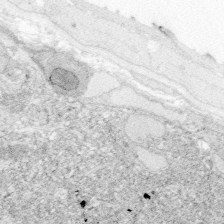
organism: Zebrafish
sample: Whole-Brain